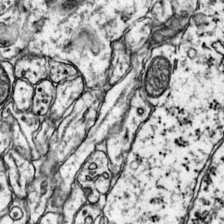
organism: Mouse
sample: Primary visual cortex